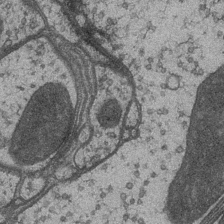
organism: Drosophila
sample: Optic medulla